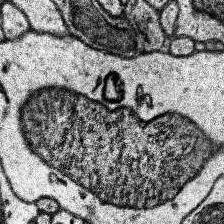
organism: Human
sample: Temporal Lobe